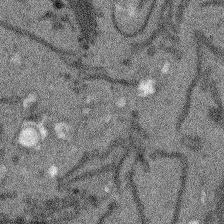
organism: Arabidopsis thaliana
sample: Root tip